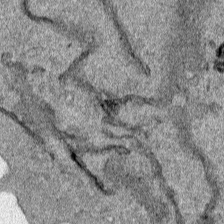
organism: Human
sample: Mitochondria in HCT116 cells